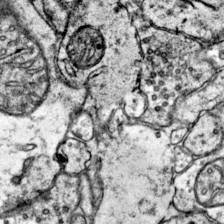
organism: Mouse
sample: Primary visual cortex